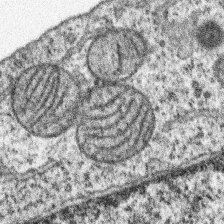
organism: Human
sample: HeLa cells